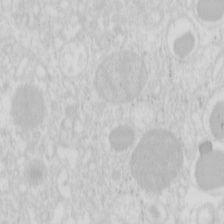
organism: Mouse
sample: Pancreas